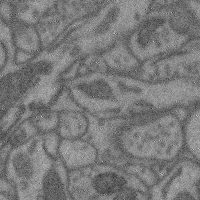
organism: Mouse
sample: Cerebral cortex